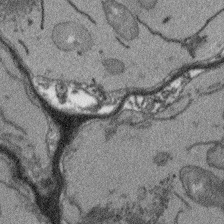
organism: Arabidopsis thaliana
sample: Root tip